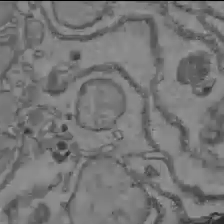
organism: C57BL Mouse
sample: Liver